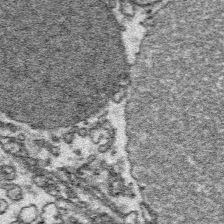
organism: Platynereis dumerilii